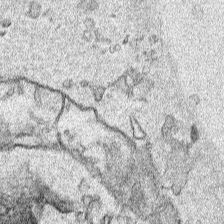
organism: Human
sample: Mitochondria in HCT116 cells